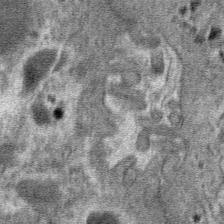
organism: Mouse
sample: Mouse hepatocytes